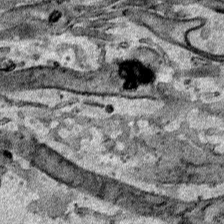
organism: Human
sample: Mitochondria in HCT116 cells